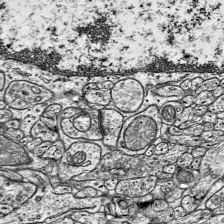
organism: Mouse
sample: Visual Cortex